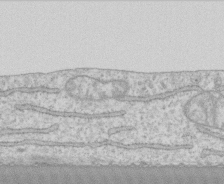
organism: Human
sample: CRL-1474